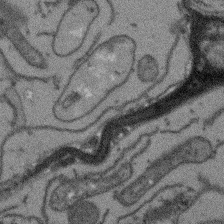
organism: Arabidopsis thaliana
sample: Root tip